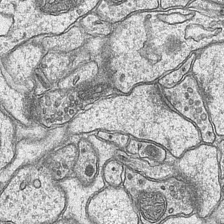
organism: Mouse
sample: CA1 Hippocampus